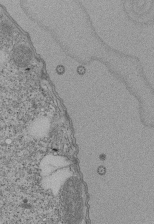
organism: Tetrahymena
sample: Cilia in tetrahymena